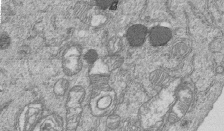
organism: Human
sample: MDA-MB-231 cells